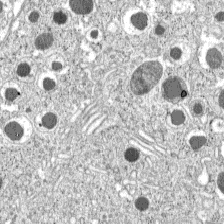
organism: C57BL Mouse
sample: Pancreatic islet